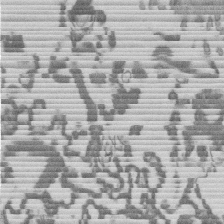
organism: Mouse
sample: Dividing mouse embryo 1 cell stage